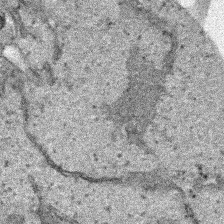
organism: Human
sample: Mitochondria in HCT116 cells